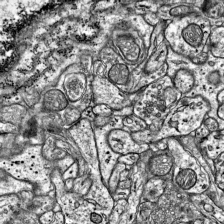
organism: Mouse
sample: Visual Cortex